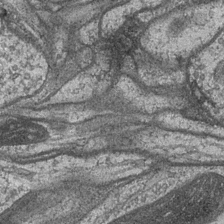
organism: Drosophila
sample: Optic medulla